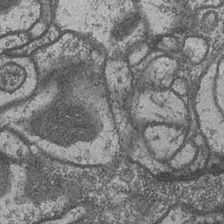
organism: Drosophila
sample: Optic medulla